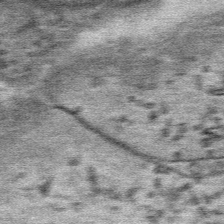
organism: Mouse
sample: Mouse Salivary gland